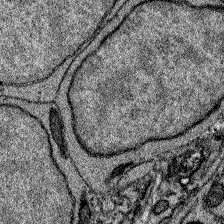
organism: Zebrafish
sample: Larval olfactory bulb